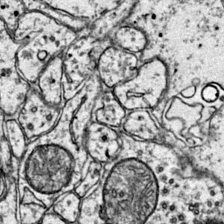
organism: Mouse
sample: Primary visual cortex